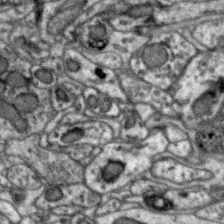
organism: Zebra finch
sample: Brain